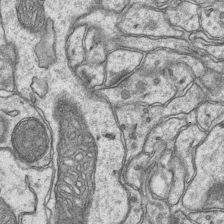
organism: Mouse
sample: CA1 Hippocampus